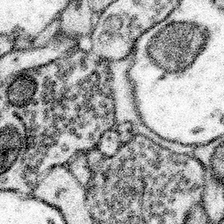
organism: Mouse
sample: Somatosensory cortex neuropil